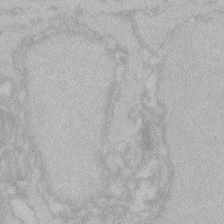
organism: Zebrafish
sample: Macrophage infected with Toxoplasma gondii